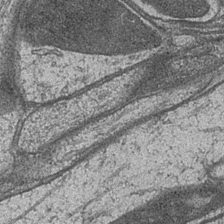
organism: Drosophila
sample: Optic medulla